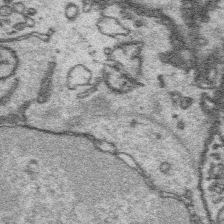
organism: Platynereis dumerilii